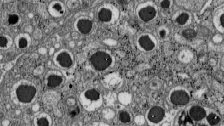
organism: C57BL Mouse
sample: Pancreatic islet